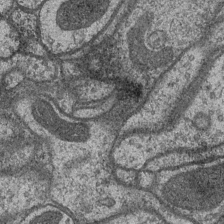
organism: Drosophila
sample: Optic medulla